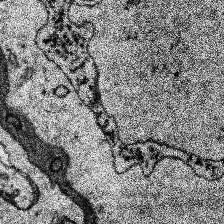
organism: Human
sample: Temporal Lobe